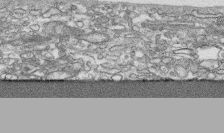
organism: Human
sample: CRL-1474